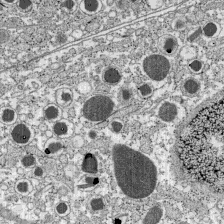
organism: C57BL Mouse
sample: Pancreatic islet